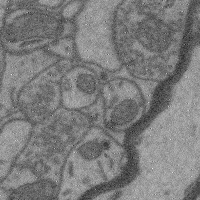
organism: Mouse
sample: Cerebral cortex